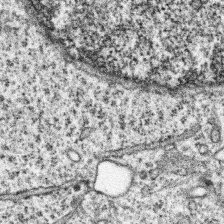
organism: Human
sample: HeLa cells